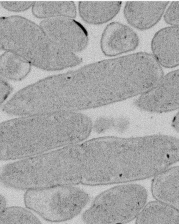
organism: E. coli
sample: Bacterial nucleoid